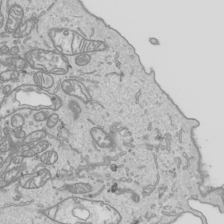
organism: Human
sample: Mitochondria in HCT116 cells